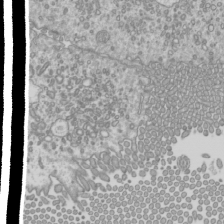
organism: Mouse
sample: Cilia; mouse epididymis